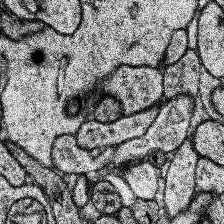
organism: Human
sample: Temporal Lobe